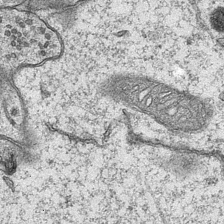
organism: Mouse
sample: CA1 Hippocampus